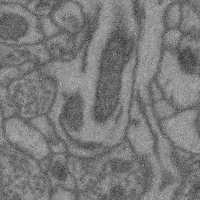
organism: Mouse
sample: Cerebral cortex